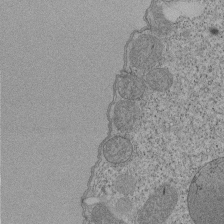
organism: Tetrahymena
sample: Cilia in tetrahymena